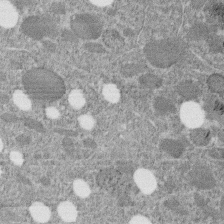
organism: C. elegans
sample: C. elegans embryo early stage